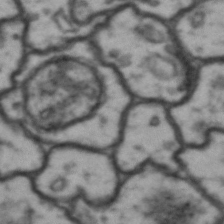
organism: Drosophila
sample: Brain